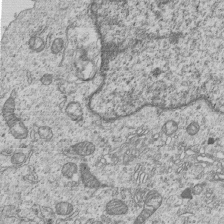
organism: Human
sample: MDA-MB-231 cells